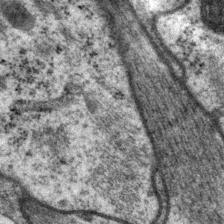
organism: P. pacificus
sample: Pharynx